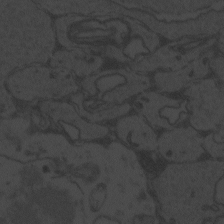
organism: Zebrafish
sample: Macrophage infected with Toxoplasma gondii